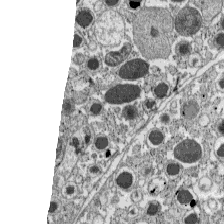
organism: C57BL Mouse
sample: Pancreatic islet